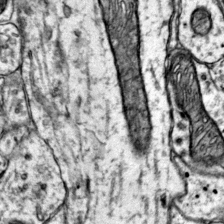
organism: Mouse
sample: Primary visual cortex